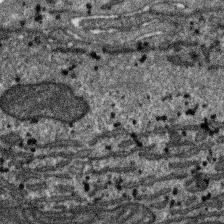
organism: Human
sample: Lung epithelial cells infected with SARS-CoV-2